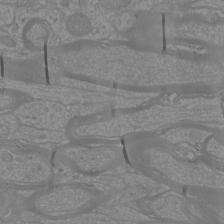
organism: Mouse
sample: Cortical neurons